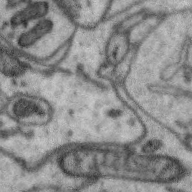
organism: Zebra finch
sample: Brain